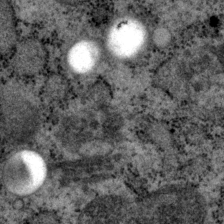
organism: P. pacificus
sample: Pharynx